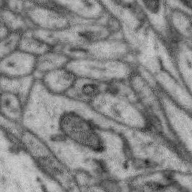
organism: Zebra finch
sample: Brain